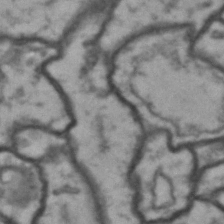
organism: Drosophila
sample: Brain